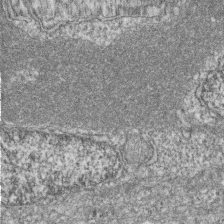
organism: Zebrafish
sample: Cilia; retinal pigment epithelium